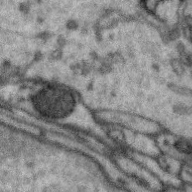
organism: Zebra finch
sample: Brain